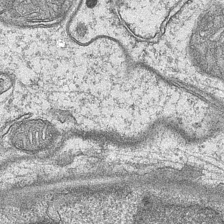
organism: Mouse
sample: CA1 Hippocampus